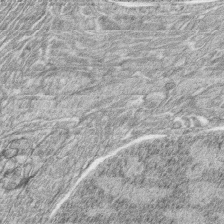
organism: Zebrafish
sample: synaptic ribbons in rod cells and cone cells